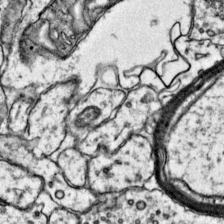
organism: Mouse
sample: Primary visual cortex